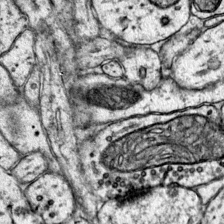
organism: Mouse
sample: Primary visual cortex